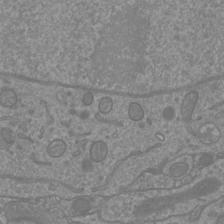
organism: Mouse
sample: Cortical neurons